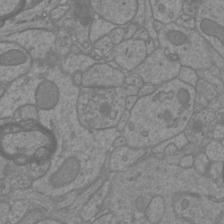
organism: Mouse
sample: Cortical neurons